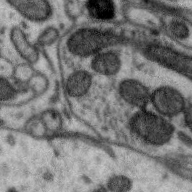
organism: Zebra finch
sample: Brain